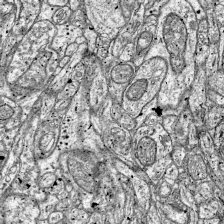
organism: Mouse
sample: Visual Cortex